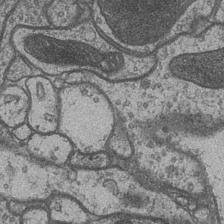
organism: Drosophila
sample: Optic medulla